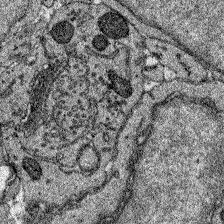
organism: Zebrafish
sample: Larval olfactory bulb